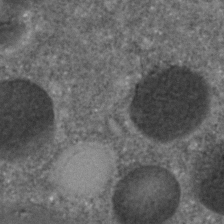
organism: C. elegans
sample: C. elegans embryo